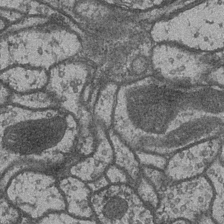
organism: Drosophila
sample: Optic medulla